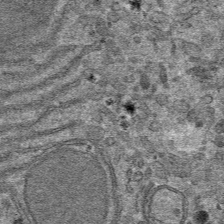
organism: Mouse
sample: Mouse hepatocytes